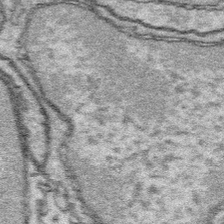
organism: Platynereis dumerilii